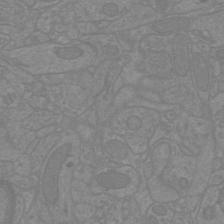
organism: Mouse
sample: Cortical neurons